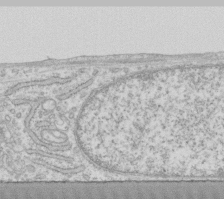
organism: Human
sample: Fibroblast cells